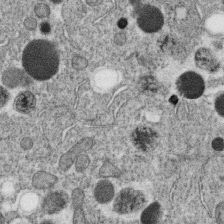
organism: C. elegans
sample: C. elegans oocyte; sperm cells